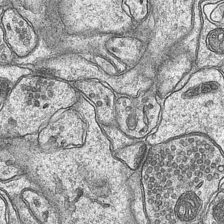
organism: Mouse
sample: CA1 Hippocampus